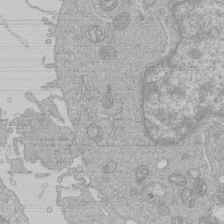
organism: Human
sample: Macrophage cells